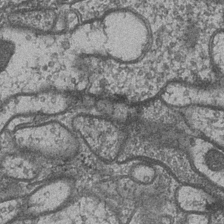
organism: Drosophila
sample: Optic medulla